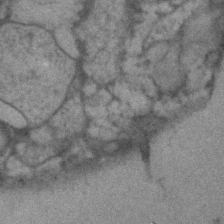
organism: Human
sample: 1205lu cells